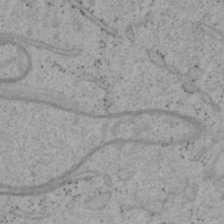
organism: Human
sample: HeLa cells